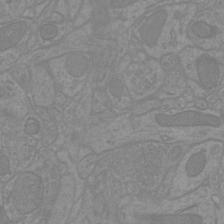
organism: Mouse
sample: Cortical neurons